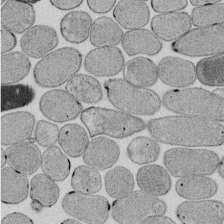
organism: E. coli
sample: Bacterial nucleoid